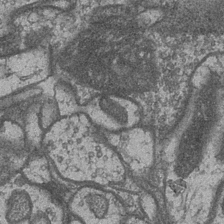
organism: Drosophila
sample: Optic medulla